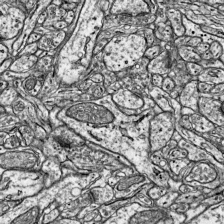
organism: Mouse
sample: Visual Cortex